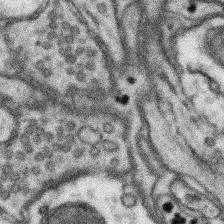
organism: Mouse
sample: Somatosensory cortex neuropil